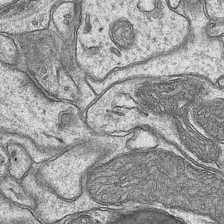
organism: Mouse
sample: CA1 Hippocampus